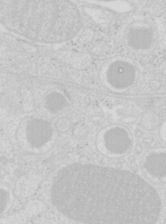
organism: Mouse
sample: Pancreas